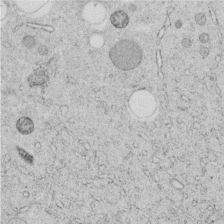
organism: C. elegans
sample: C. elegans embryo early stage